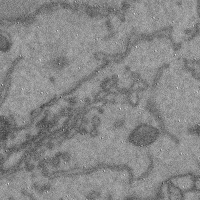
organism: Mouse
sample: Cerebral cortex